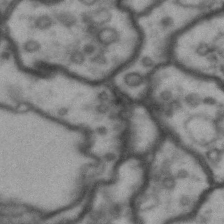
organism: Drosophila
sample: Brain